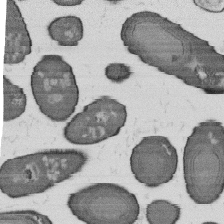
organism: B. subtilis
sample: Bacterial spore